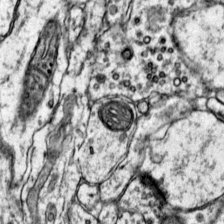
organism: Mouse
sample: Primary visual cortex